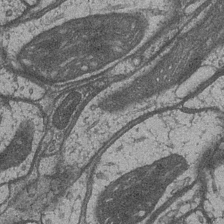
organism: Drosophila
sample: Optic medulla